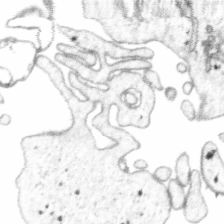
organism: Human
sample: HeLa cells